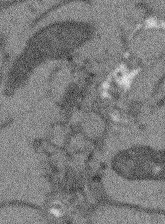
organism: Arabidopsis thaliana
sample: Root tip